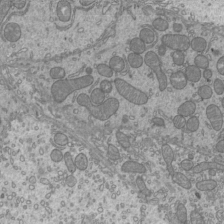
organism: Mouse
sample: Cilia; mouse epididymis